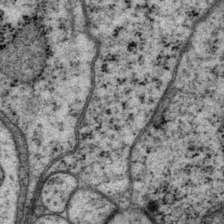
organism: P. pacificus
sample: Pharynx